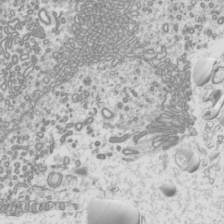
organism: Mouse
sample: Cilia; mouse epididymis